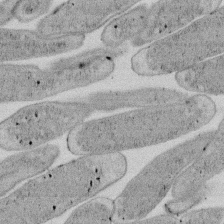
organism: E. coli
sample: Bacterial nucleoid